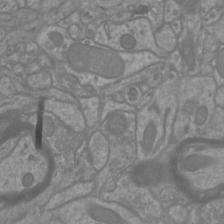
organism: Mouse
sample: Cortical neurons